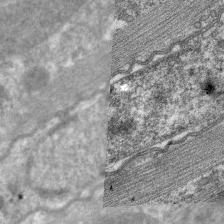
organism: C. elegans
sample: Pharynx